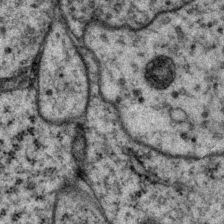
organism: P. pacificus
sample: Pharynx